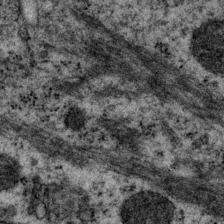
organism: P. pacificus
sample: Pharynx